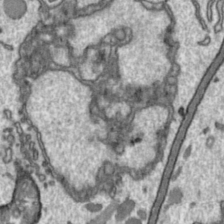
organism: Toxoplasma gondii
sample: Parasites in a vacuole inside a host cell